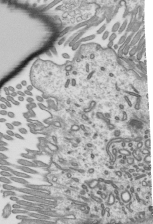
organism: Mouse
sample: Mouse epididymis efferent ductule cilia